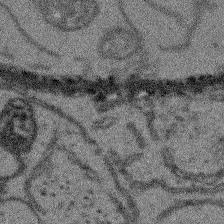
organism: Arabidopsis thaliana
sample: Root tip